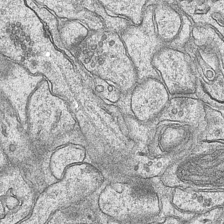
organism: Mouse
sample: CA1 Hippocampus